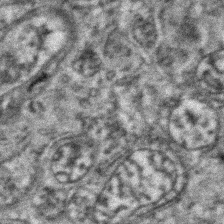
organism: Zebrafish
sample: Zebrafish embryo